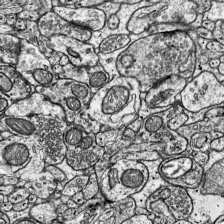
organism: Mouse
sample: Visual Cortex